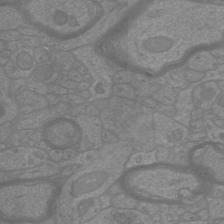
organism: Mouse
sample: Cortical neurons